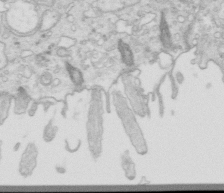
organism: Mouse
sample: Multiciliated cells